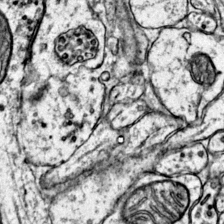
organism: Mouse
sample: Primary visual cortex